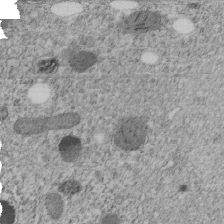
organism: C. elegans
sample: C. elegans embryo early stage